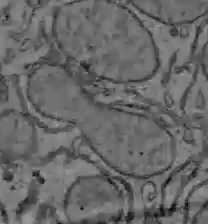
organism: C57BL Mouse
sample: Liver